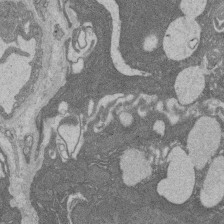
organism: Rat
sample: Salivary granule